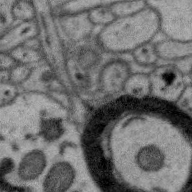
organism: Zebra finch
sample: Brain